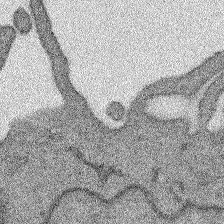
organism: Human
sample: HeLa cells